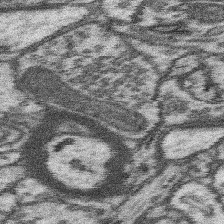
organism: Mouse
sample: Somatosensory cortex neuropil